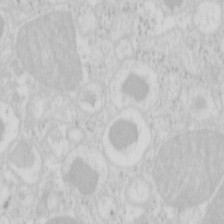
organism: Mouse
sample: Pancreas